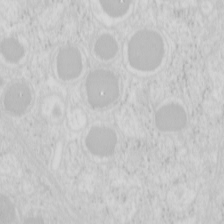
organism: Mouse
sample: Pancreas